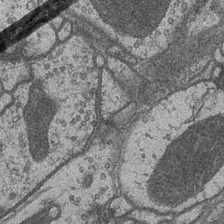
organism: Drosophila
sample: Optic medulla